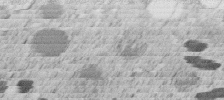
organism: C. elegans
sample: C. elegans embryo early stage